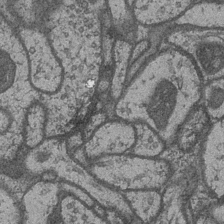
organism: Drosophila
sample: Optic medulla